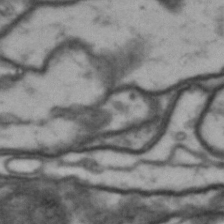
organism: Drosophila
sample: Brain